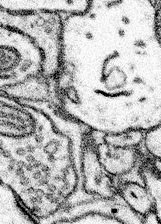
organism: Mouse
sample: Somatosensory cortex neuropil